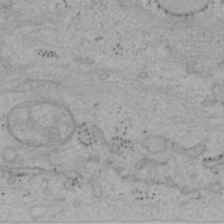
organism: Human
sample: HeLa cells